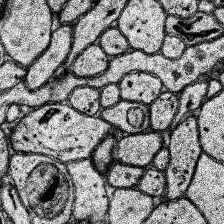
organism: Human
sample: Temporal Lobe